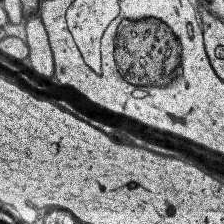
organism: Human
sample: Temporal Lobe